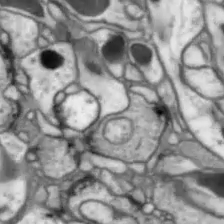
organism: Drosophila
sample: Optic lobe